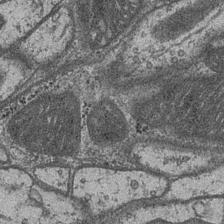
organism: Drosophila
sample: Optic medulla